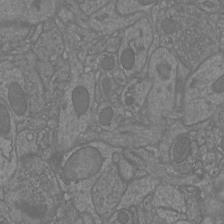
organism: Mouse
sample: Cortical neurons